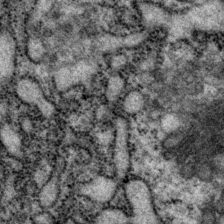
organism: P. pacificus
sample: Pharynx